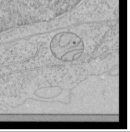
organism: Human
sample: Mitochondria in HCT116 cells